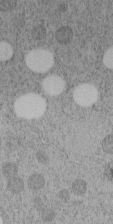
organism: C. elegans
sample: C. elegans embryo early stage